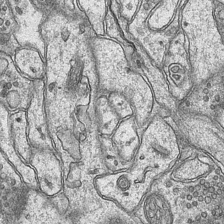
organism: Mouse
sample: CA1 Hippocampus